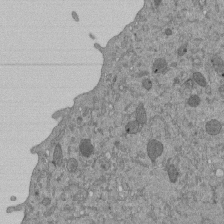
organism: Mouse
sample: ED-1 cell nuclei; centrioles